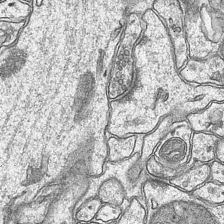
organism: Mouse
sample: CA1 Hippocampus